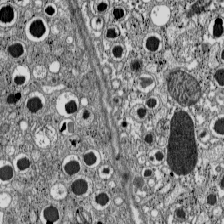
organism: C57BL Mouse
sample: Pancreatic islet